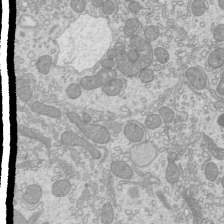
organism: Mouse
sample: Cilia; mouse epididymis